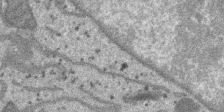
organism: Human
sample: Lung epithelial cells infected with SARS-CoV-2